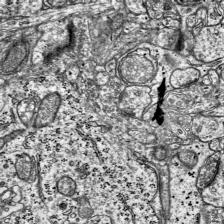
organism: Mouse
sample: Visual Cortex